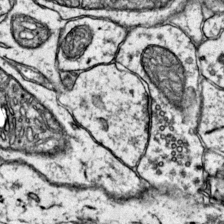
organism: Mouse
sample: Primary visual cortex